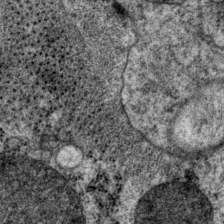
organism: P. pacificus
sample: Pharynx